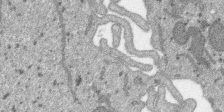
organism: Human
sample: Lung epithelial cells infected with SARS-CoV-2